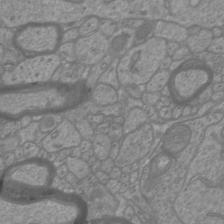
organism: Mouse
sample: Cortical neurons